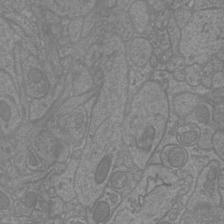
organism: Mouse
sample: Cortical neurons